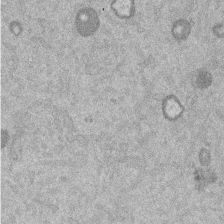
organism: Mouse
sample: Dividing mouse embryo 1 cell stage